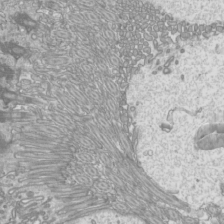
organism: Mouse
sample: Cilia; mouse epididymis